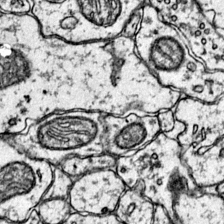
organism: Mouse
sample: Primary visual cortex